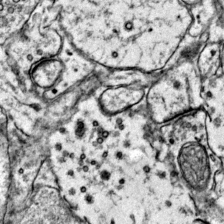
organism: Mouse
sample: Primary visual cortex